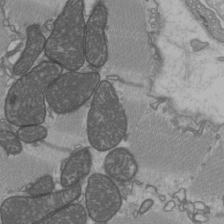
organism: C57BL Mouse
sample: Heart